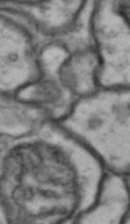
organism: Drosophila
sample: Brain